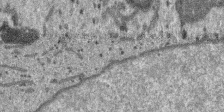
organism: Human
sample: Lung epithelial cells infected with SARS-CoV-2